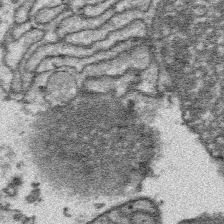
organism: Platynereis dumerilii